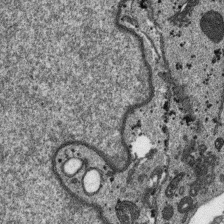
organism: Human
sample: Lung epithelial cells infected with SARS-CoV-2